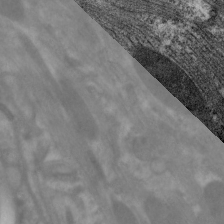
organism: C. elegans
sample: Pharynx